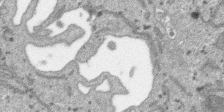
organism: Human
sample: Lung epithelial cells infected with SARS-CoV-2